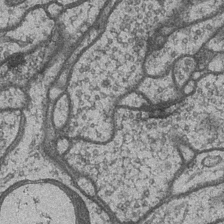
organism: Drosophila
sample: Optic medulla